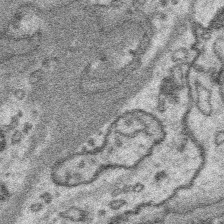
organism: Platynereis dumerilii